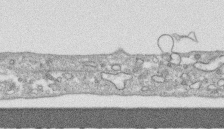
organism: Human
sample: CRL-1474